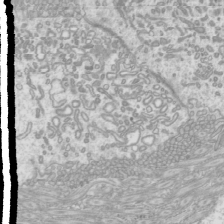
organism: Mouse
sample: Cilia; mouse epididymis